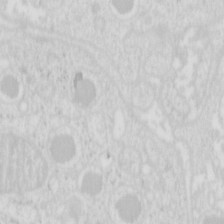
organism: Mouse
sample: Pancreas